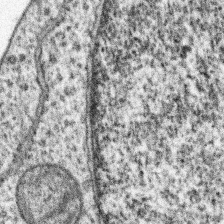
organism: Human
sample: HeLa cells